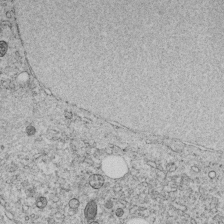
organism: C. elegans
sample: C. elegans embryo early stage